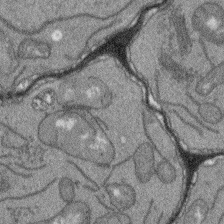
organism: Arabidopsis thaliana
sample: Root tip